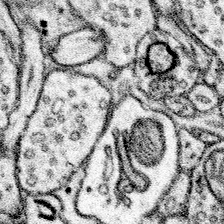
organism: Mouse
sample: Somatosensory cortex neuropil